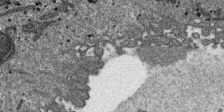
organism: Human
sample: Lung epithelial cells infected with SARS-CoV-2